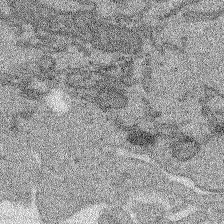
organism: Human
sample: HeLa cells